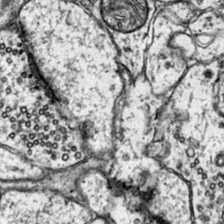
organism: Mouse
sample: Primary visual cortex